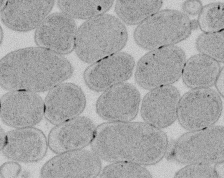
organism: E. coli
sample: Bacterial nucleoid